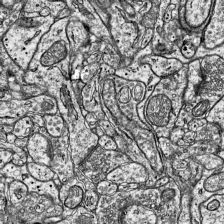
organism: Mouse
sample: Visual Cortex